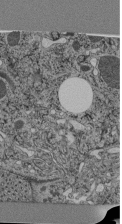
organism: C. elegans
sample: C. elegans pharynx